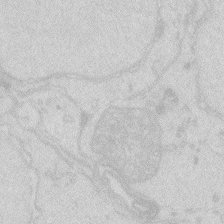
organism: Zebrafish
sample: Macrophage